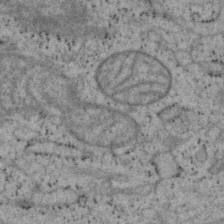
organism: Human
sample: HeLa cells